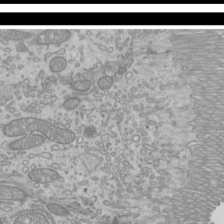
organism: Mouse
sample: Cilia; mouse epididymis